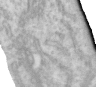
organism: Human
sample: Centriole in RPE cells